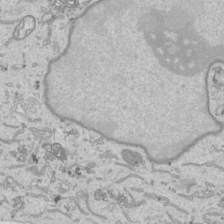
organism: Human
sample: Mitochondria in HCT116 cells